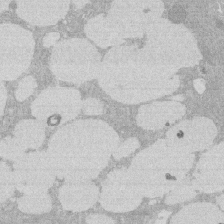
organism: Rat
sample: Salivary granule